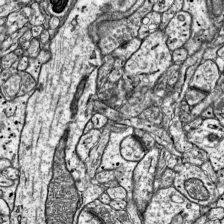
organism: Mouse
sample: Visual Cortex